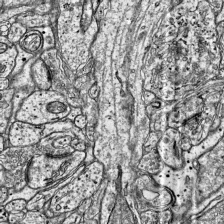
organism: Mouse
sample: Visual Cortex